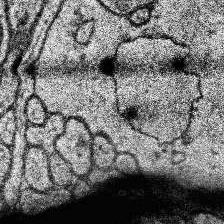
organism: Human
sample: Temporal Lobe